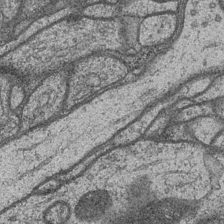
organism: Drosophila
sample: Optic medulla